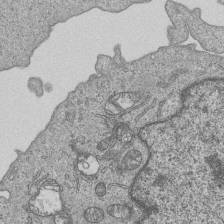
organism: Human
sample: MDA-MB-231 cells